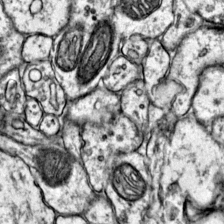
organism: Mouse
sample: Primary visual cortex